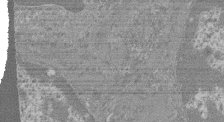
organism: Mouse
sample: Glomerulus